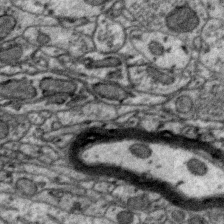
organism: Zebra finch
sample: Brain